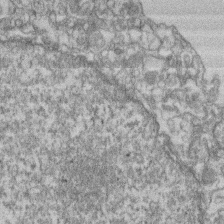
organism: Mouse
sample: T cell stromal cell synapse